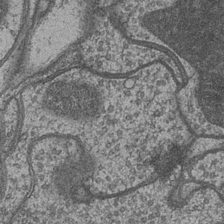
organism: Drosophila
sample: Optic medulla